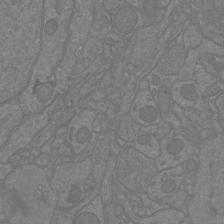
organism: Mouse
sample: Cortical neurons